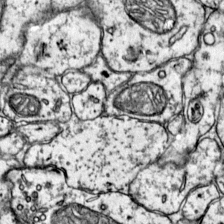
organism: Mouse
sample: Primary visual cortex